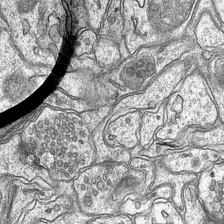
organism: Mouse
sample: CA1 Hippocampus